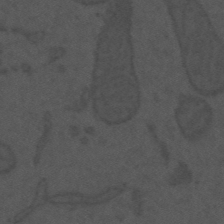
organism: Mouse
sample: Suprachiasmatic nucleus